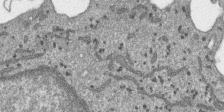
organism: Human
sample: Lung epithelial cells infected with SARS-CoV-2